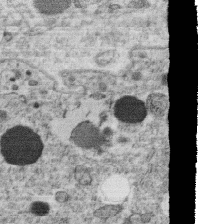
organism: C. elegans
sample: C. elegans oocyte; sperm cells